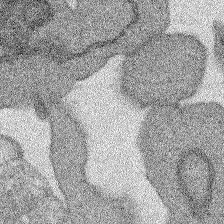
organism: Human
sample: HeLa cells